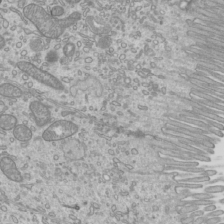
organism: Mouse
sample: Cilia; mouse epididymis